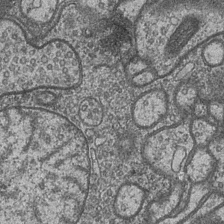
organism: Drosophila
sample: Optic medulla